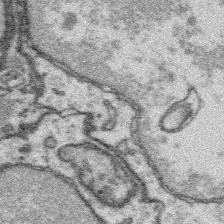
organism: Platynereis dumerilii